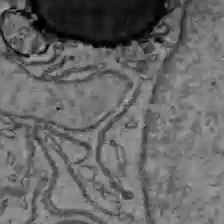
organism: C57BL Mouse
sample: Liver